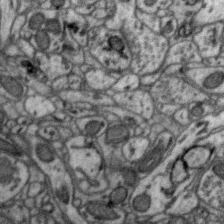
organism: Zebra finch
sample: Brain